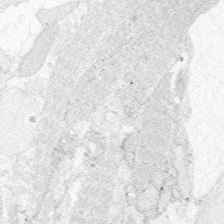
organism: Zebrafish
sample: Whole-Brain